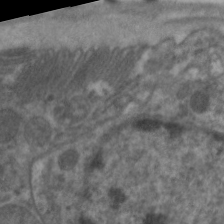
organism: C. elegans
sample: Pharynx